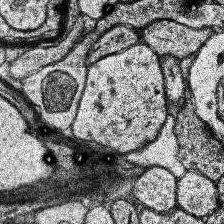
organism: Human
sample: Temporal Lobe